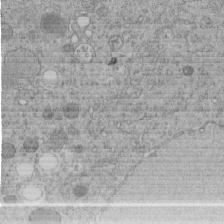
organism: C. elegans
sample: C. elegans embryo early stage